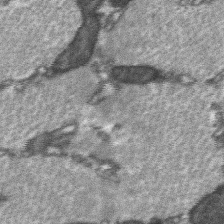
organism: C57BL Mouse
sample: Soleus